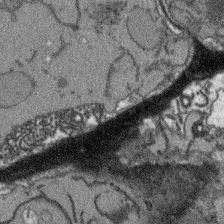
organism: Arabidopsis thaliana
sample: Root tip